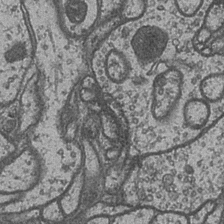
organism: Drosophila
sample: Optic medulla